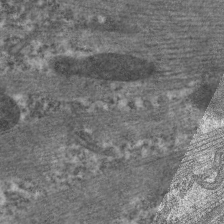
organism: C. elegans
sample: Pharynx